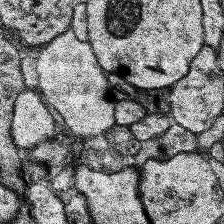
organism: Human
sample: Temporal Lobe